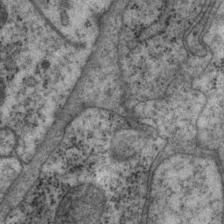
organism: P. pacificus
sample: Pharynx